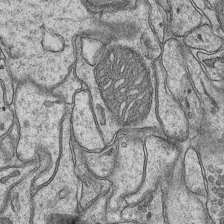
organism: Mouse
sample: CA1 Hippocampus